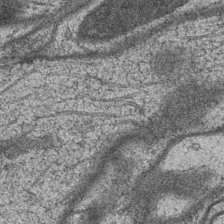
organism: Drosophila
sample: Optic medulla